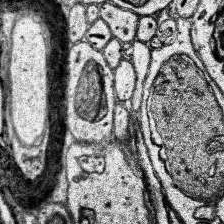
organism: Human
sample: Temporal Lobe